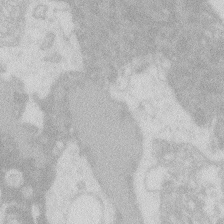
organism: Zebrafish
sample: Macrophage